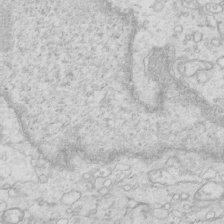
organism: Mouse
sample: Multiciliated cells